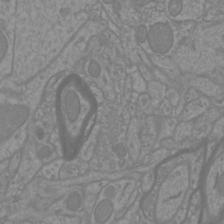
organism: Mouse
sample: Cortical neurons